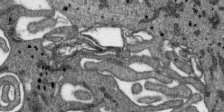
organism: Human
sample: Lung epithelial cells, uninfected (mock) control